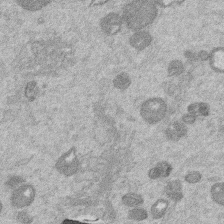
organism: Mouse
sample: Dividing mouse embryo 1 cell stage